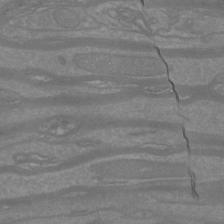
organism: Mouse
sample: Cortical neurons